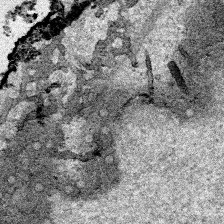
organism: Human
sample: Mitochondria in HCT116 cells